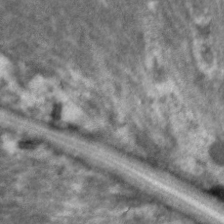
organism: C. elegans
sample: Pharynx